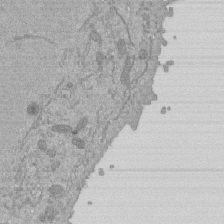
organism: Mouse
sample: ED-1 cell nuclei; centrioles